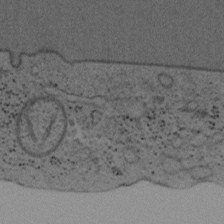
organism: Human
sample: HeLa cells